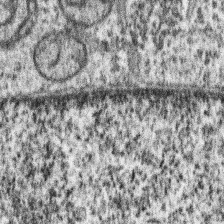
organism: Human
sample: HeLa cells